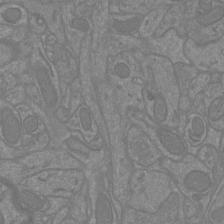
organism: Mouse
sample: Cortical neurons